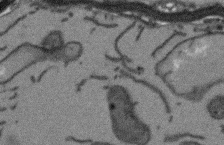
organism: Arabidopsis thaliana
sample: Root tip